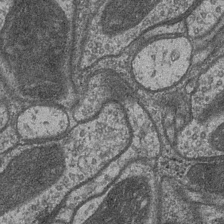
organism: Drosophila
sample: Optic medulla